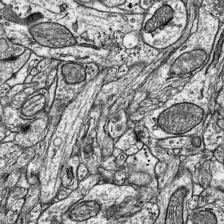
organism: Mouse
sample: Visual Cortex